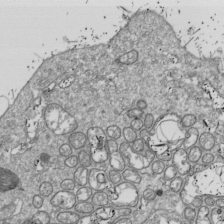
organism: Drosophila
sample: Cell division; meiosis; drosophila spermatocytes